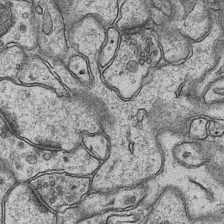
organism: Mouse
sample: CA1 Hippocampus